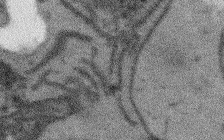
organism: Arabidopsis thaliana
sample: Root tip